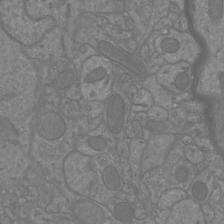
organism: Mouse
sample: Cortical neurons